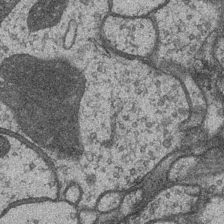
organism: Drosophila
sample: Optic medulla